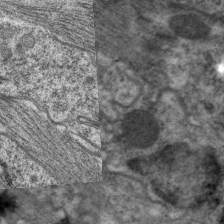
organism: C. elegans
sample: Pharynx